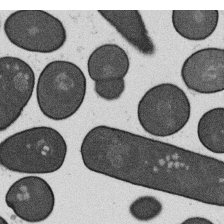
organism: B. subtilis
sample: Bacterial spore